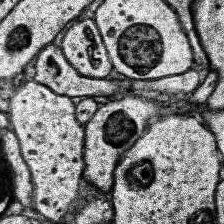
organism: Human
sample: Temporal Lobe